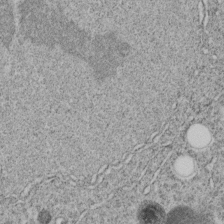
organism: C. elegans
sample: C. elegans embryo early stage